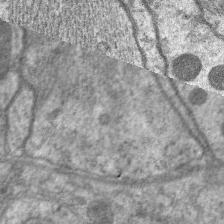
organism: C. elegans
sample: Pharynx